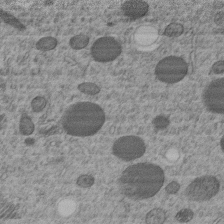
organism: C. elegans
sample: C. elegans embryo early stage